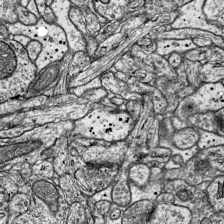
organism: Mouse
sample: Visual Cortex